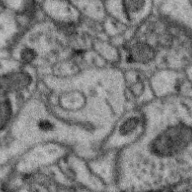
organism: Zebra finch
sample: Brain